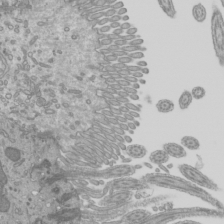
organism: Mouse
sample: Cilia; mouse epididymis